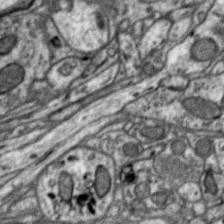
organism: Zebra finch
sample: Brain